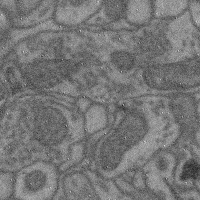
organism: Mouse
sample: Cerebral cortex